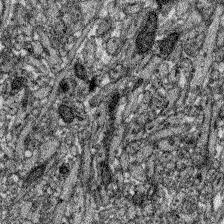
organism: Zebrafish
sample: Larval olfactory bulb